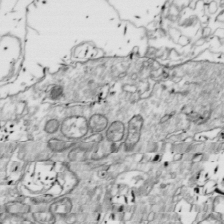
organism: Drosophila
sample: Cell division; meiosis; drosophila spermatocytes